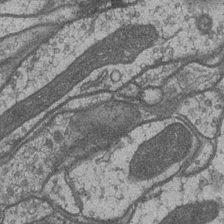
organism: Drosophila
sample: Optic medulla